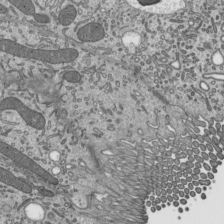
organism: Mouse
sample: Mouse epididymis efferent ductule cilia